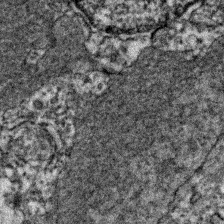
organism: Zebrafish